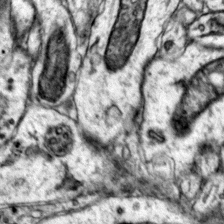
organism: Mouse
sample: Primary visual cortex